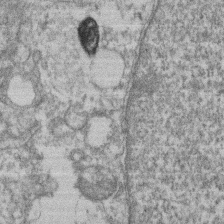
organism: Mouse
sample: T cell stromal cell synapse